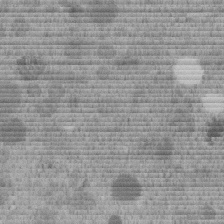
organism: C. elegans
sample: C. elegans embryo early stage